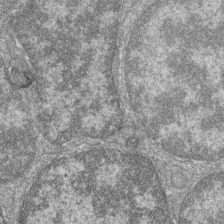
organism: Zebrafish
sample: Cilia; retinal pigment epithelium